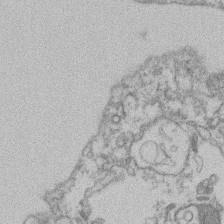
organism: Mouse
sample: T cell stromal cell synapse